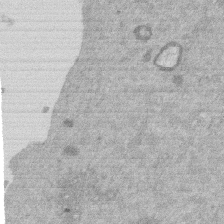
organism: Mouse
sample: Dividing mouse embryo 1 cell stage